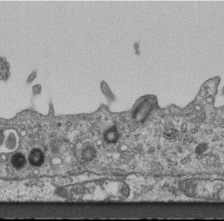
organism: Mouse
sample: Centriole in ependymal cells